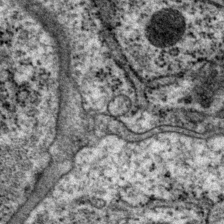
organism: P. pacificus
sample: Pharynx